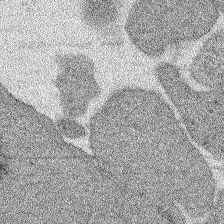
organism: Human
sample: HeLa cells